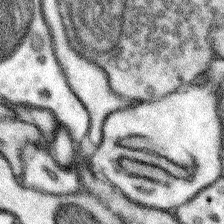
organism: Mouse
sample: Somatosensory cortex neuropil